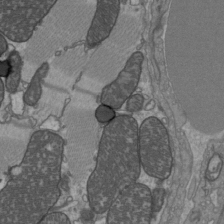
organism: C57BL Mouse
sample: Heart